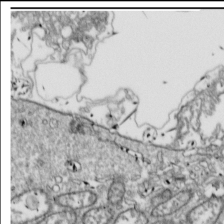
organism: Drosophila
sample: Cell division; meiosis; drosophila spermatocytes